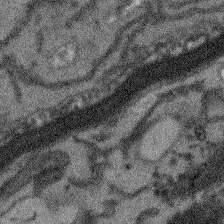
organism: Arabidopsis thaliana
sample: Root tip